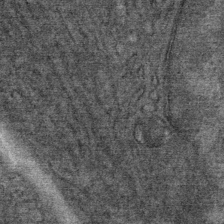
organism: Mouse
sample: Mouse Salivary gland